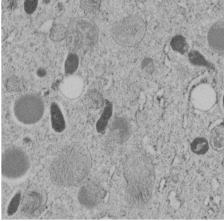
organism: C. elegans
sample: C. elegans embryo early stage